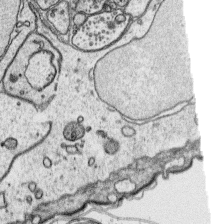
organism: Platynereis dumerilii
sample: Parapodia